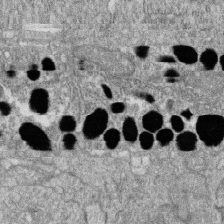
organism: Zebrafish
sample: Cilia; retinal pigment epithelium